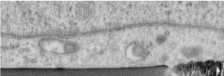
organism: Human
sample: Centriole in RPE cells